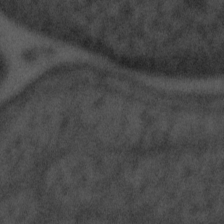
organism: Tuwongella immobilis